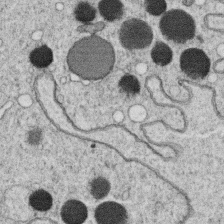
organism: C. elegans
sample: C. elegans oocyte; sperm cells